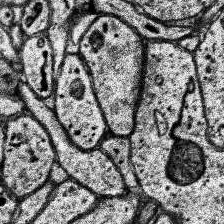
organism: Human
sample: Temporal Lobe